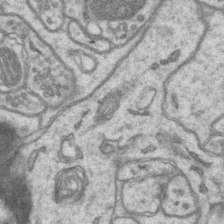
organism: Mouse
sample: CA1 Hippocampus